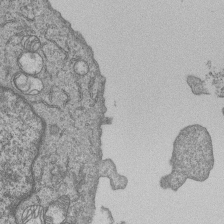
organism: Human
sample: MDA-MB-231 cells